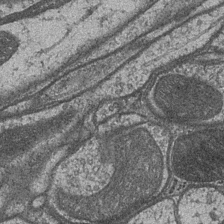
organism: Drosophila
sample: Optic medulla